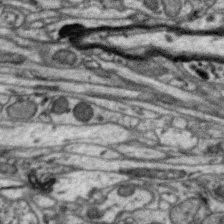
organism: Zebra finch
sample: Brain